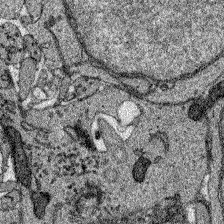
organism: Zebrafish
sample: Larval olfactory bulb